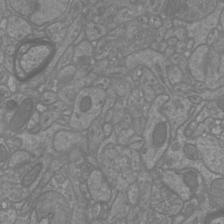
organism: Mouse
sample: Cortical neurons